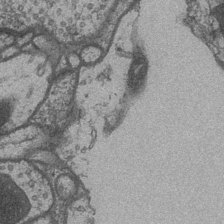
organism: Drosophila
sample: Optic medulla